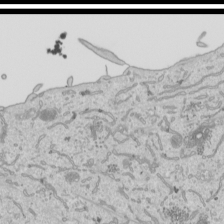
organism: Human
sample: Mitochondria in HCT116 cells